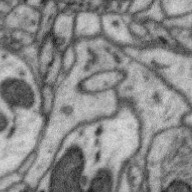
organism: Zebra finch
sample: Brain